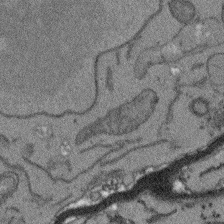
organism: Arabidopsis thaliana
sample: Root tip